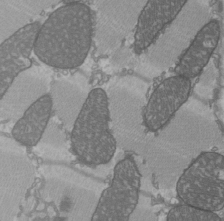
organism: C57BL Mouse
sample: Heart